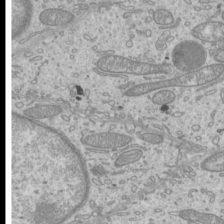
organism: Mouse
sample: Cilia; mouse epididymis